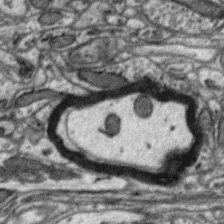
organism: Zebra finch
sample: Brain